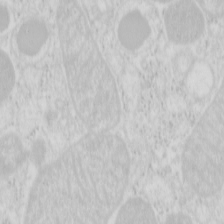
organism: Mouse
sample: Pancreas